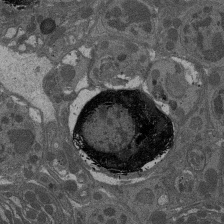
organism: Drosophila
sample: Antenna